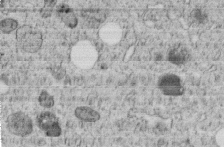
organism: C. elegans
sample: C. elegans embryo early stage